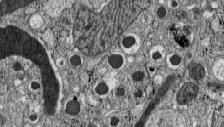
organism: C57BL Mouse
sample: Pancreatic islet